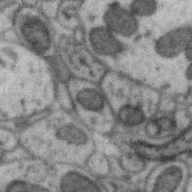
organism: Zebra finch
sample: Brain